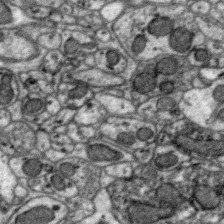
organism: Zebra finch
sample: Brain